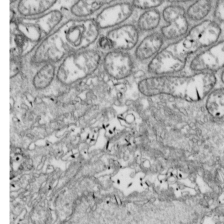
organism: Drosophila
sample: Cell division; meiosis; drosophila spermatocytes